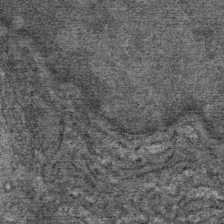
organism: Mouse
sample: Mouse Salivary gland